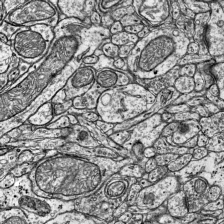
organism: Mouse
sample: Visual Cortex